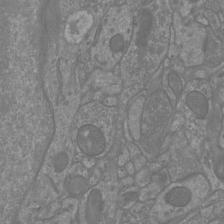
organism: Mouse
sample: Cortical neurons